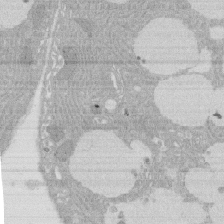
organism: Rat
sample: Salivary granule